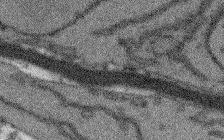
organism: Arabidopsis thaliana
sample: Root tip